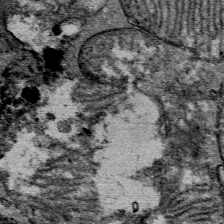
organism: Mouse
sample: Mouse Salivary gland